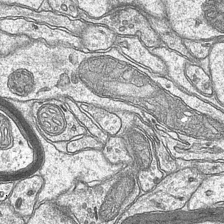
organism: Mouse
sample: CA1 Hippocampus